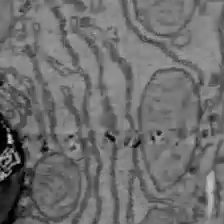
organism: C57BL Mouse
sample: Liver